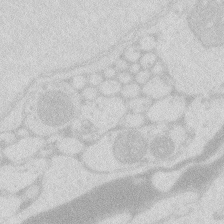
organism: Zebrafish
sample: Macrophage